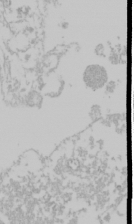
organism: Mouse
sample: Cancer cell death in ED-1 cells